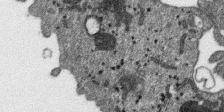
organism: Human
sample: Lung epithelial cells infected with SARS-CoV-2